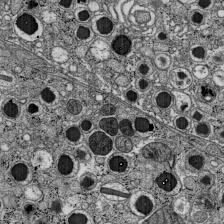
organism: C57BL Mouse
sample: Pancreatic islet